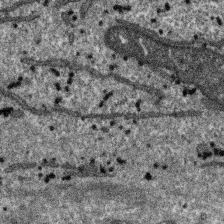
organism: Human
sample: Lung epithelial cells infected with SARS-CoV-2